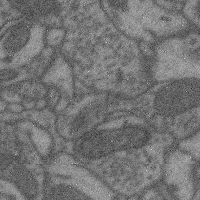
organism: Mouse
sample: Cerebral cortex